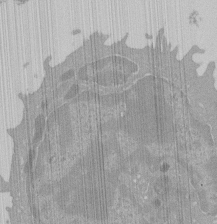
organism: Mouse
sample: Activated Pmel transgenic CD8+ T Cells